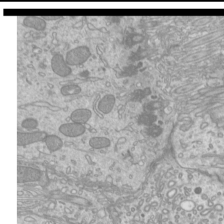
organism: Mouse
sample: Cilia; mouse epididymis